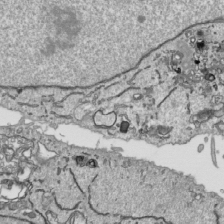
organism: Human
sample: Mitochondria in HCT116 cells